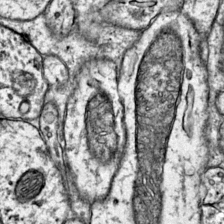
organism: Mouse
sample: Primary visual cortex